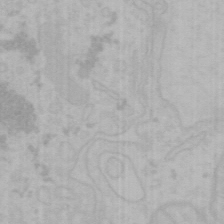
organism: Mouse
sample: Choroid plexus